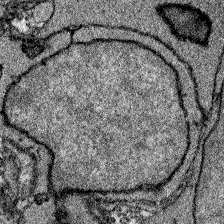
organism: Zebrafish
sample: Larval olfactory bulb